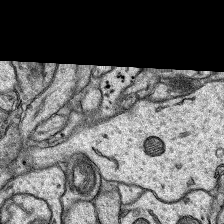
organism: Rat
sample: Hippocampus